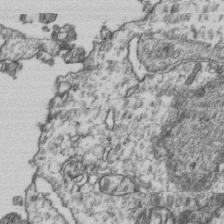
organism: Human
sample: Activated Jurkat CD4+ T cells